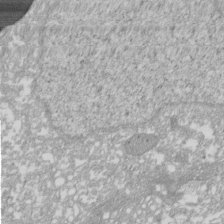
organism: Xenopus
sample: Cilia; centrioles in frog embryo cells